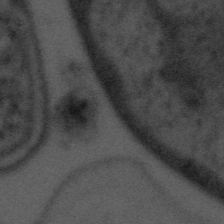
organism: Tuwongella immobilis